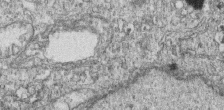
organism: Human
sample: HeLa cell HIV synapse